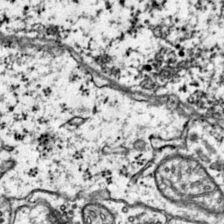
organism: Mouse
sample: Primary visual cortex